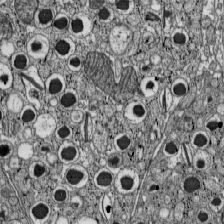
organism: C57BL Mouse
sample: Pancreatic islet